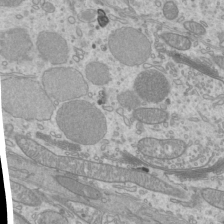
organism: Mouse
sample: Cilia; mouse epididymis